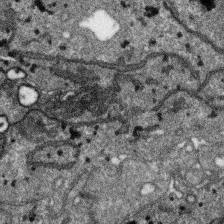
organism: Human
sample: Lung epithelial cells infected with SARS-CoV-2